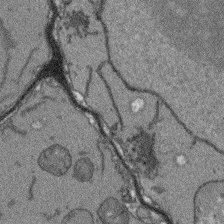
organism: Arabidopsis thaliana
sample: Root tip